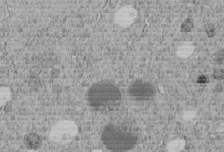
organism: C. elegans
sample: C. elegans embryo early stage